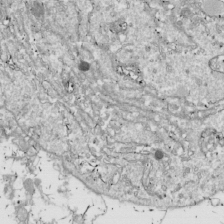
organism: Drosophila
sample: Cell division; meiosis; drosophila spermatocytes